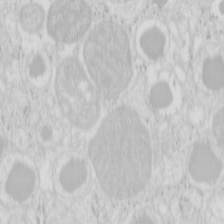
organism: Mouse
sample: Pancreas